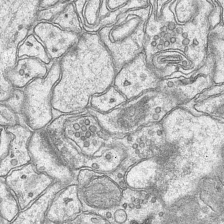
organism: Mouse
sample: CA1 Hippocampus